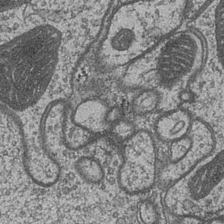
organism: Drosophila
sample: Optic medulla